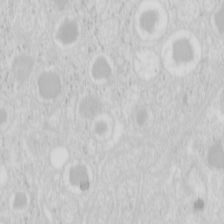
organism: Mouse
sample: Pancreas